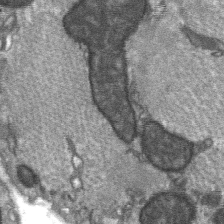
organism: C57BL Mouse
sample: Soleus